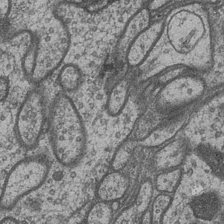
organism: Drosophila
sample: Optic medulla